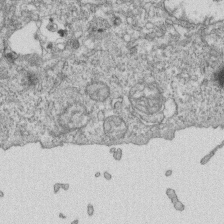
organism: Human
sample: HeLa cell HIV synapse